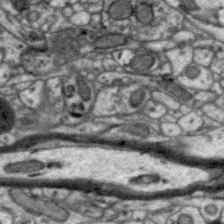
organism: Zebra finch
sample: Brain